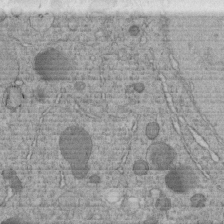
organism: C. elegans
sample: C. elegans embryo early stage